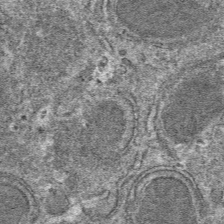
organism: Mouse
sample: Mouse hepatocytes